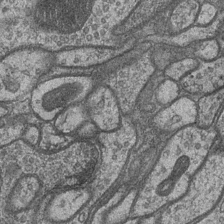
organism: Drosophila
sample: Optic medulla